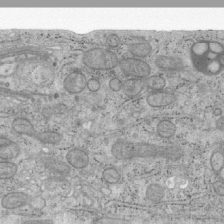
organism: Human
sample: HeLa cells